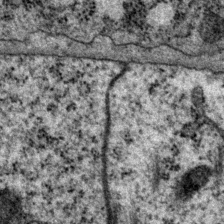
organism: P. pacificus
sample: Pharynx